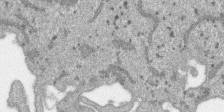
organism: Human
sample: Lung epithelial cells infected with SARS-CoV-2